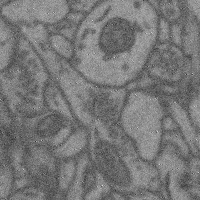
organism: Mouse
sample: Cerebral cortex